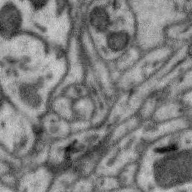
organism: Zebra finch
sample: Brain